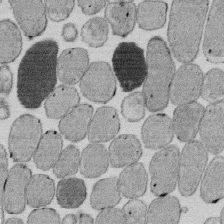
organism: E. coli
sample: Bacterial nucleoid